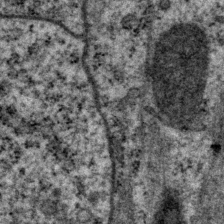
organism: P. pacificus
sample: Pharynx